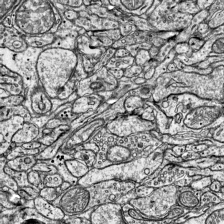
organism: Mouse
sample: Visual Cortex